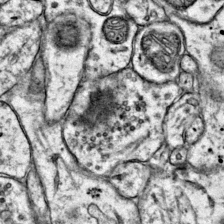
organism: Mouse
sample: Primary visual cortex